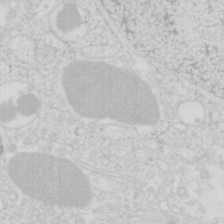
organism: Mouse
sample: Pancreas